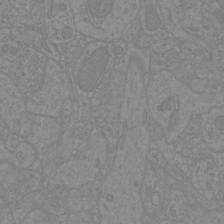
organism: Mouse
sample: Cortical neurons